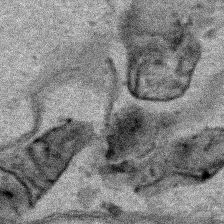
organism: Human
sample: Mitochondria in HCT116 cells